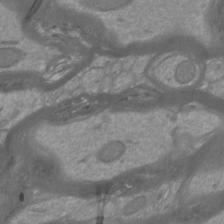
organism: Mouse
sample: Cortical neurons